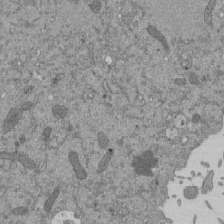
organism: Mouse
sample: ED-1 cell nuclei; centrioles